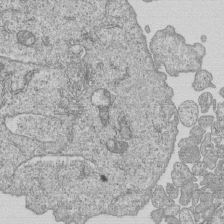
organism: Human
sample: MDA-MB-231 cells